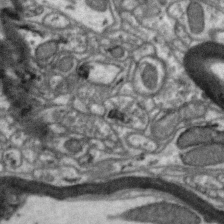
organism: Zebra finch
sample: Brain